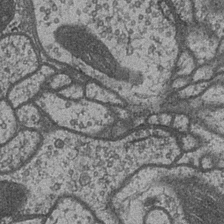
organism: Drosophila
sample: Optic medulla